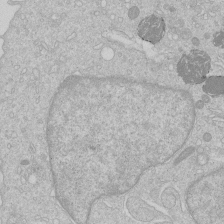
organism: Human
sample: Macrophage cells